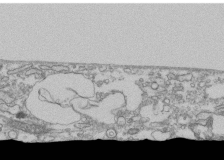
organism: Human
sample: Fibroblast cells